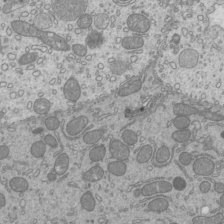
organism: Mouse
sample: Cilia; mouse epididymis